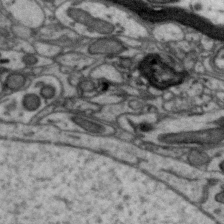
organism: Zebra finch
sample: Brain